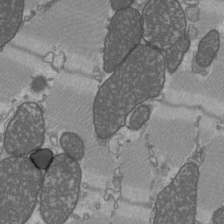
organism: C57BL Mouse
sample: Heart